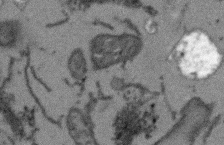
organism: Arabidopsis thaliana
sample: Root tip